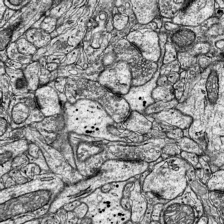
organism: Mouse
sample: Visual Cortex